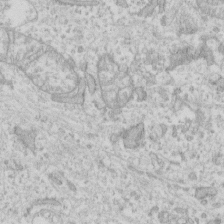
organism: Human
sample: Fibroblast cells